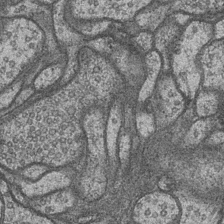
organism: Drosophila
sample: Optic medulla